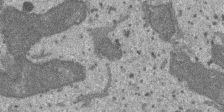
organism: Human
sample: Lung epithelial cells infected with SARS-CoV-2